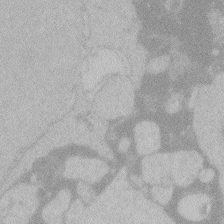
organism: Zebrafish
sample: Macrophage infected with Toxoplasma gondii